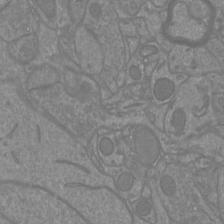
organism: Mouse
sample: Cortical neurons